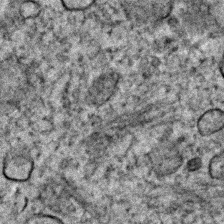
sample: Trachea